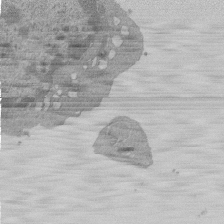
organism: Mouse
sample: Activated Pmel transgenic CD8+ T Cells